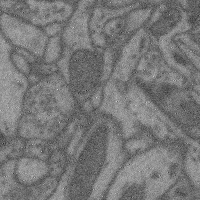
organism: Mouse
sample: Cerebral cortex